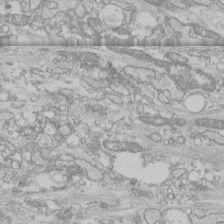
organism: Human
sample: CRL-1474